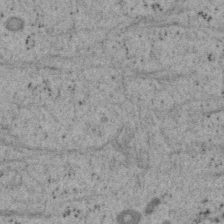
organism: Human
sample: HeLa cells